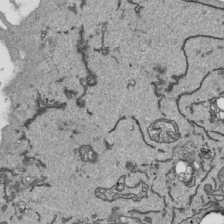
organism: Human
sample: Mitochondria in HCT116 cells